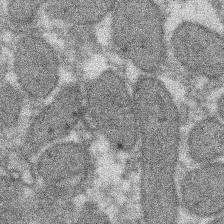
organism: Xenopus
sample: Cilia; centrioles in frog embryo cells